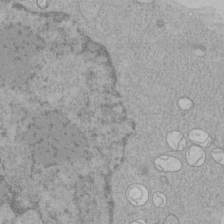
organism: Human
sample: Mitochondria in HCT116 cells